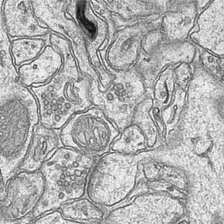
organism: Mouse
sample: CA1 Hippocampus